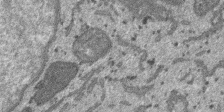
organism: Human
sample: Lung epithelial cells infected with SARS-CoV-2